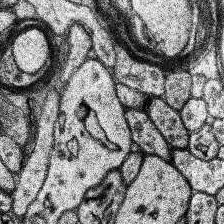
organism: Human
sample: Temporal Lobe